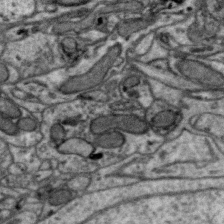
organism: Zebra finch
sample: Brain